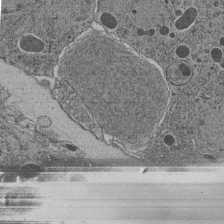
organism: C. elegans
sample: C. elegans pharynx